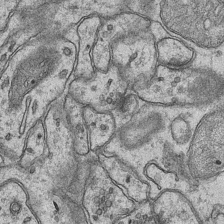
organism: Mouse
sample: CA1 Hippocampus